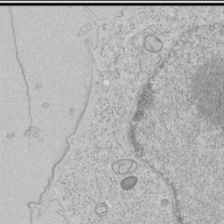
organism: Human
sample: Mitochondria in HCT116 cells